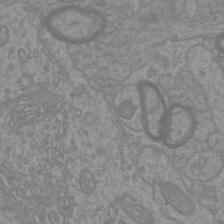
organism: Mouse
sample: Cortical neurons